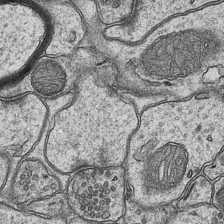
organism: Mouse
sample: CA1 Hippocampus